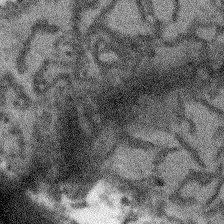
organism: Arabidopsis thaliana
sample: Root tip